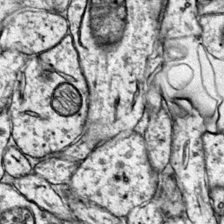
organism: Mouse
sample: Primary visual cortex